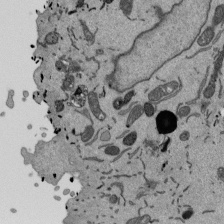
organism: Mouse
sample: ED-1 cell nuclei; centrioles